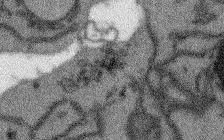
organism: Arabidopsis thaliana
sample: Root tip